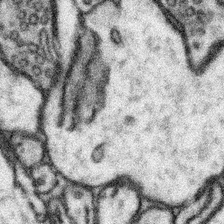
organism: Mouse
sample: Somatosensory cortex neuropil